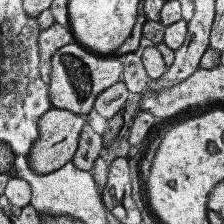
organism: Human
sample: Temporal Lobe